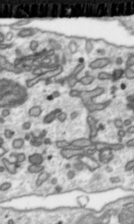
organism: Toxoplasma gondii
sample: Parasites in a vacuole inside a host cell